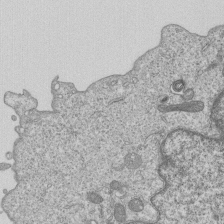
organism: Human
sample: MDA-MB-231 cells